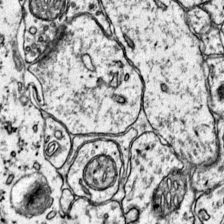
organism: Mouse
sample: Primary visual cortex